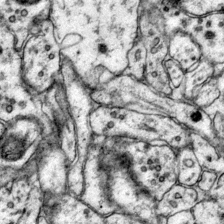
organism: Mouse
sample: Primary visual cortex